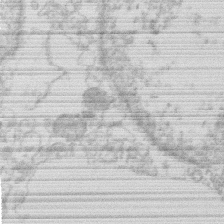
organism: Human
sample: Macrophage cells